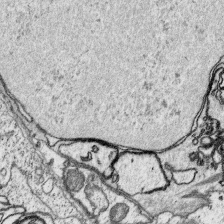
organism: Platynereis dumerilii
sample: Parapodia